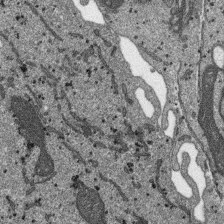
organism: Human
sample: Lung epithelial cells infected with SARS-CoV-2